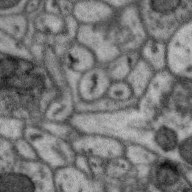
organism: Zebra finch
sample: Brain